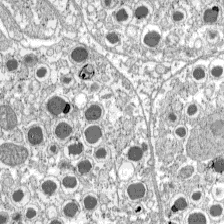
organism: C57BL Mouse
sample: Pancreatic islet